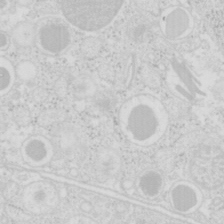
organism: Mouse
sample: Pancreas